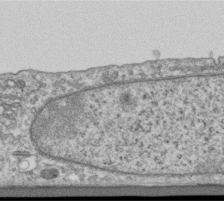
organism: Human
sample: Centriole in RPE cells